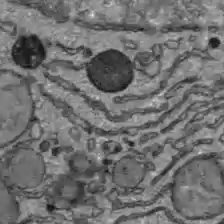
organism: C57BL Mouse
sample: Liver